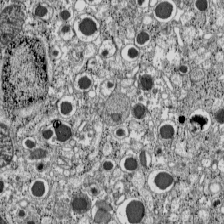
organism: C57BL Mouse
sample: Pancreatic islet